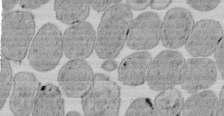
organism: E. coli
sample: Bacterial nucleoid